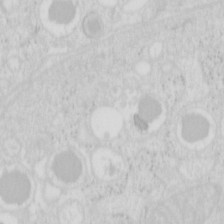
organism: Mouse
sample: Pancreas